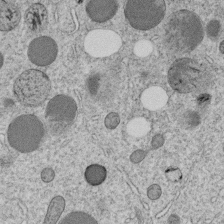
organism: C. elegans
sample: C. elegans embryo early stage